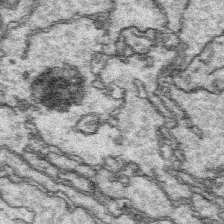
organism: Platynereis dumerilii